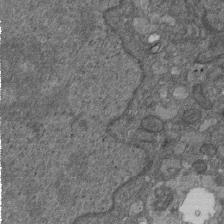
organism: Drosophila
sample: Nephrocyte